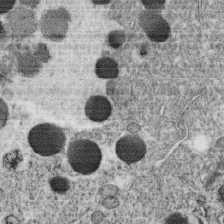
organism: C. elegans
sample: C. elegans oocyte; sperm cells